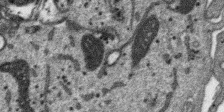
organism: Human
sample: Lung epithelial cells infected with SARS-CoV-2